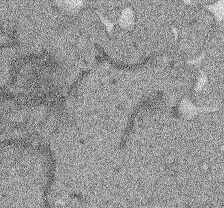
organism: Human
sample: HeLa cells